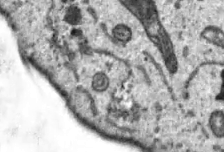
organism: Human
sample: HeLa cells